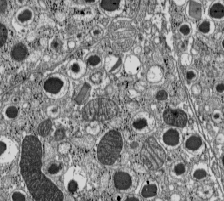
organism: C57BL Mouse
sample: Pancreatic islet